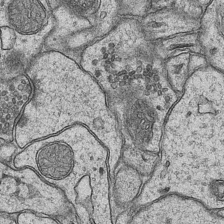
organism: Mouse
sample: CA1 Hippocampus